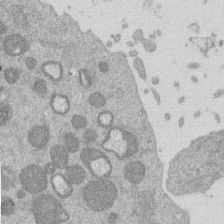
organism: Mouse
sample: Dividing mouse embryo 1 cell stage